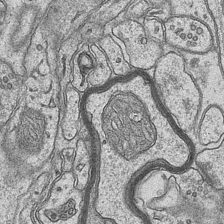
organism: Mouse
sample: CA1 Hippocampus